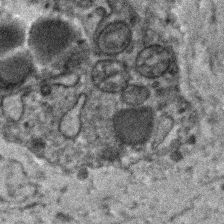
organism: Human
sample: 1205lu cells